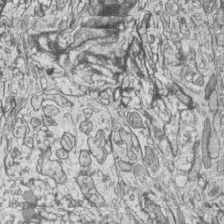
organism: Zebrafish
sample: synaptic ribbons in rod cells and cone cells